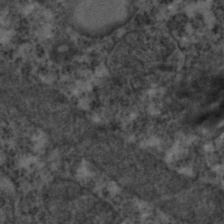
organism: C. elegans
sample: C. elegans embryo